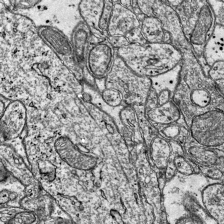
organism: Mouse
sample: Visual Cortex